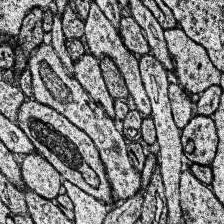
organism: Human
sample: Temporal Lobe